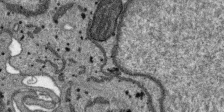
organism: Human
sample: Lung epithelial cells, uninfected (mock) control